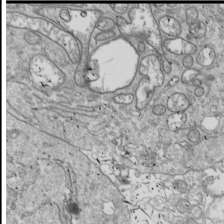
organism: Drosophila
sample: Cell division; meiosis; drosophila spermatocytes